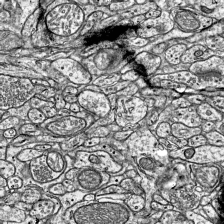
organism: Mouse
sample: Visual Cortex